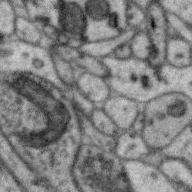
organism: Zebra finch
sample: Brain